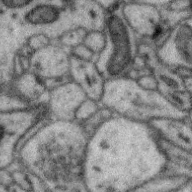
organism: Zebra finch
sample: Brain